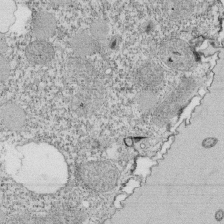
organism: Tetrahymena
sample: Cilia in tetrahymena